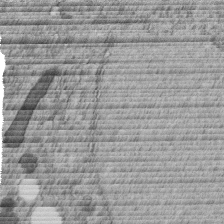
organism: C. elegans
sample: C. elegans embryo early stage